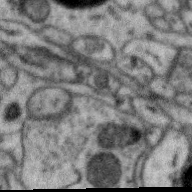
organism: Zebra finch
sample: Brain